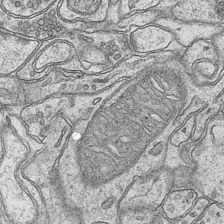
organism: Mouse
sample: CA1 Hippocampus